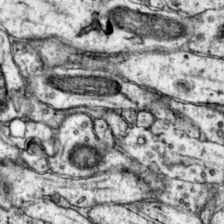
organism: Mouse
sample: Primary visual cortex